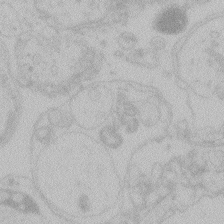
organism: Zebrafish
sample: Macrophage infected with Toxoplasma gondii